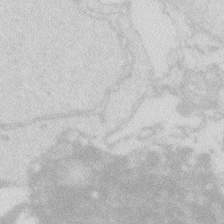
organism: Zebrafish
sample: Macrophage